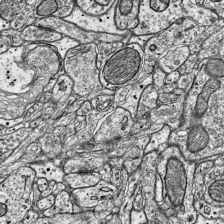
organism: Mouse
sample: Visual Cortex